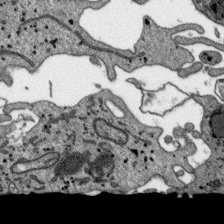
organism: Human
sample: Lung epithelial cells, uninfected (mock) control